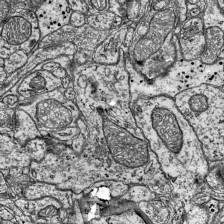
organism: Mouse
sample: Visual Cortex